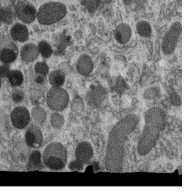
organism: C. elegans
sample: C. elegans oocyte; sperm cells